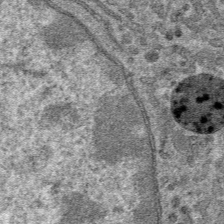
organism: Mouse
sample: Mouse hepatocytes